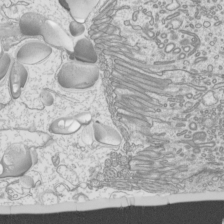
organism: Mouse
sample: Cilia; mouse epididymis